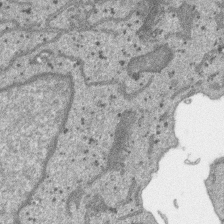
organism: Human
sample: Lung epithelial cells infected with SARS-CoV-2